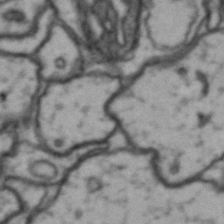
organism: Drosophila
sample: Brain